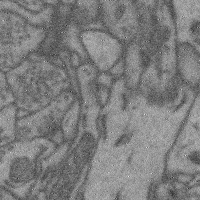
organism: Mouse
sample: Cerebral cortex